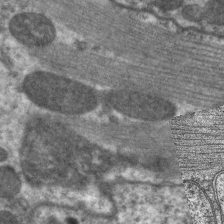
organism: C. elegans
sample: Pharynx